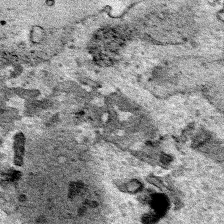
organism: Human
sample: Mitochondria in HCT116 cells